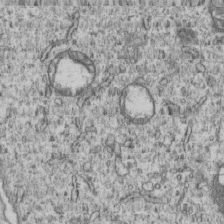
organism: Human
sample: MDA-MB-231 cells